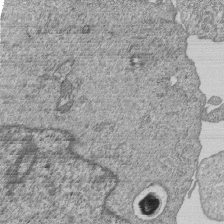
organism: Human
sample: MDA-MB-231 cells